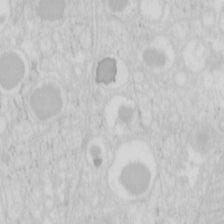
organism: Mouse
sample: Pancreas